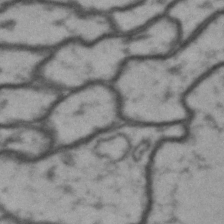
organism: Drosophila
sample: Brain